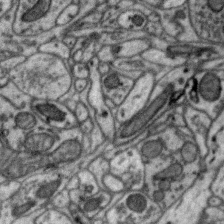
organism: Zebra finch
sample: Brain